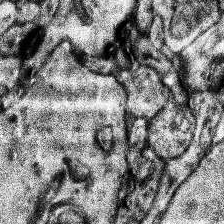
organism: Human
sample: Temporal Lobe